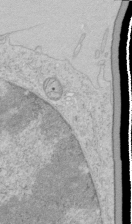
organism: Human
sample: Mitochondria in HCT116 cells